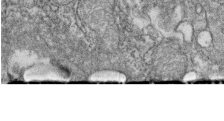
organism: Zebrafish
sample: Cilia; retinal pigment epithelium